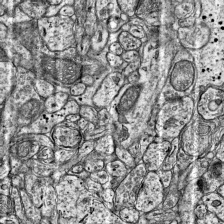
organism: Mouse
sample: Visual Cortex